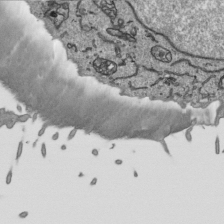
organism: Human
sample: Mitochondria in HCT116 cells